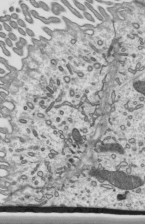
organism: Mouse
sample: Mouse epididymis efferent ductule cilia